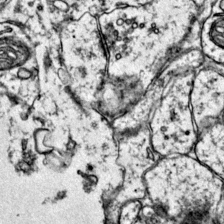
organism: Mouse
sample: Primary visual cortex